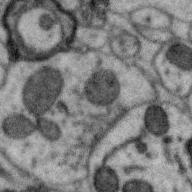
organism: Zebra finch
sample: Brain